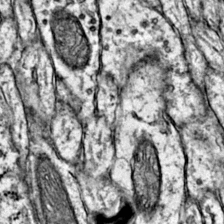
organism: Mouse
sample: Primary visual cortex